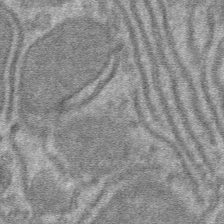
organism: Mouse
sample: Mouse hepatocytes